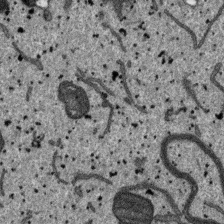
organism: Human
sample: Lung epithelial cells, uninfected (mock) control